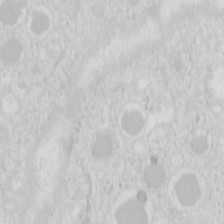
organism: Mouse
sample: Pancreas